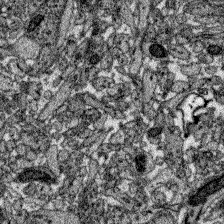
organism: Zebrafish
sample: Larval olfactory bulb